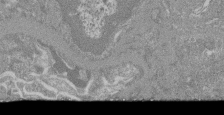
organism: Mouse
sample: Glomerulus